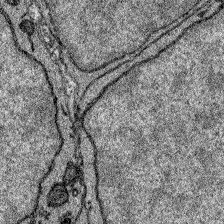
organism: Zebrafish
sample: Larval olfactory bulb